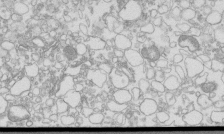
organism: Mouse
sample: Macrophages